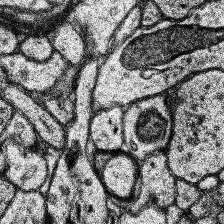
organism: Human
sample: Temporal Lobe